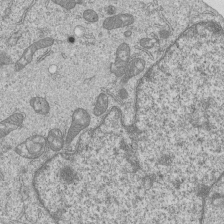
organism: Human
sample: MDA-MB-231 cells